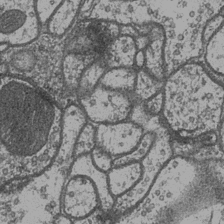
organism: Drosophila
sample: Optic medulla